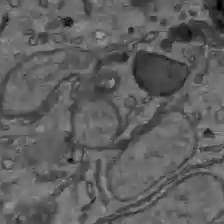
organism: C57BL Mouse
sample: Liver